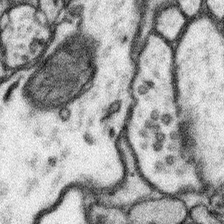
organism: Mouse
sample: Somatosensory cortex neuropil